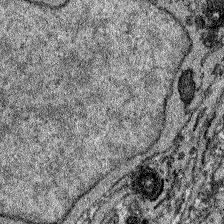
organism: Zebrafish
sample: Larval olfactory bulb